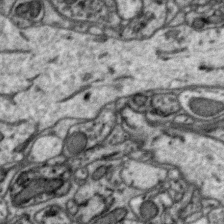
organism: Zebra finch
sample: Brain